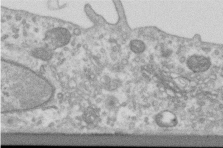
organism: Human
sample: Centriole in RPE cells